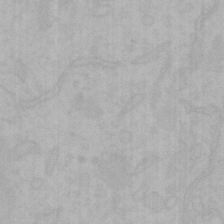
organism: Mouse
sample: Choroid plexus